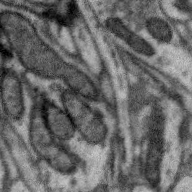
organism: Zebra finch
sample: Brain